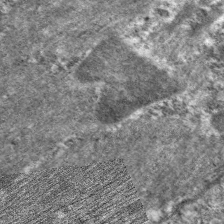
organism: C. elegans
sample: Pharynx